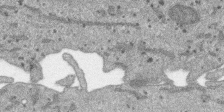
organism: Human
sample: Lung epithelial cells infected with SARS-CoV-2